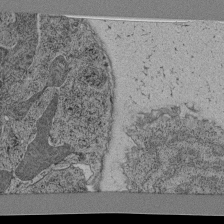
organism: C. elegans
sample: C. elegans pharynx